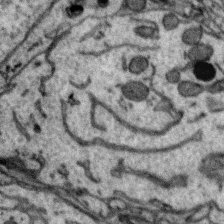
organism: Zebra finch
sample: Brain